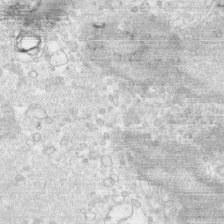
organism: Human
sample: CRL-1474